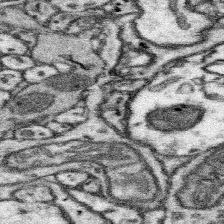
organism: Mouse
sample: Somatosensory cortex neuropil